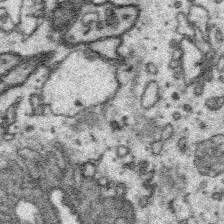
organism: Platynereis dumerilii